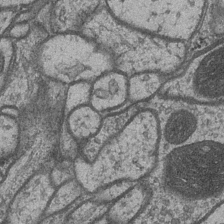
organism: Drosophila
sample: Optic medulla